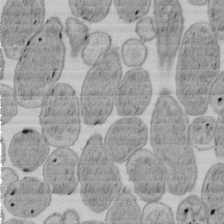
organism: E. coli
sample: Bacterial nucleoid